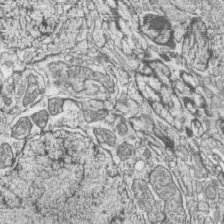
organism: Zebrafish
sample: synaptic ribbons in rod cells and cone cells